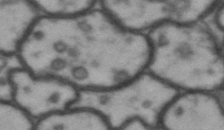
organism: Drosophila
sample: Brain